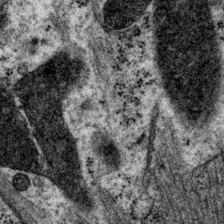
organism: P. pacificus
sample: Pharynx